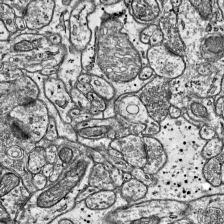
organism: Mouse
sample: Visual Cortex